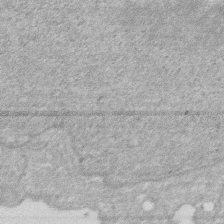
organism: Human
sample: HIV infected U937 cells